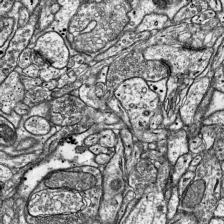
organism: Mouse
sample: Visual Cortex